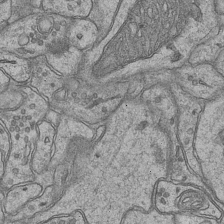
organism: Mouse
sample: CA1 Hippocampus